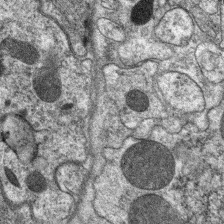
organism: C. elegans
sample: Pharynx